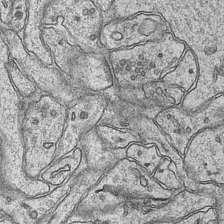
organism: Mouse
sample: CA1 Hippocampus